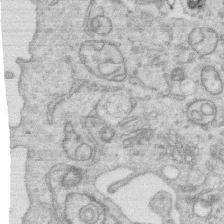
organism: Human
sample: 1205lu cells